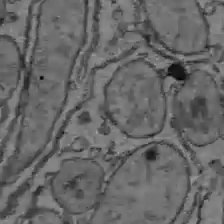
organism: C57BL Mouse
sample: Liver